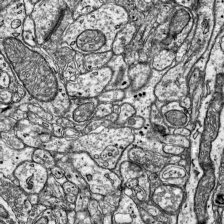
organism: Mouse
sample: Visual Cortex